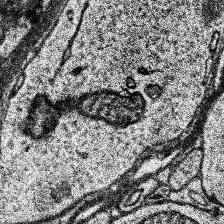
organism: Human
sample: Temporal Lobe